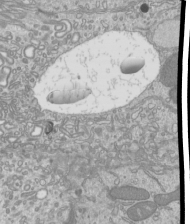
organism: Mouse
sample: Cilia; mouse epididymis